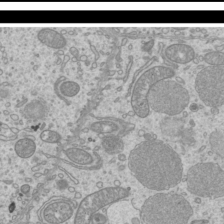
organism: Mouse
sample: Cilia; mouse epididymis